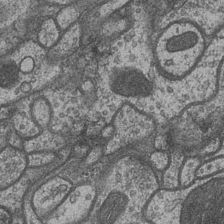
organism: Drosophila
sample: Optic medulla